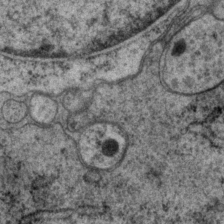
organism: P. pacificus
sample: Pharynx